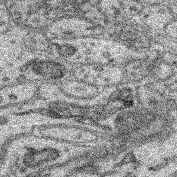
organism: Mouse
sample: Retina